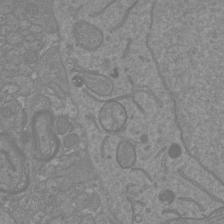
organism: Mouse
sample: Cortical neurons